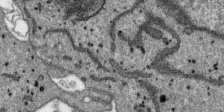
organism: Human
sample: Lung epithelial cells, uninfected (mock) control